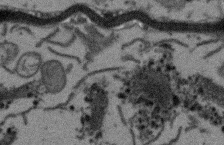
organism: Arabidopsis thaliana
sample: Root tip